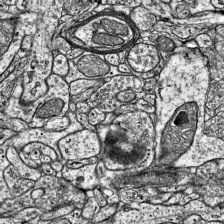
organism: Mouse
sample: Visual Cortex